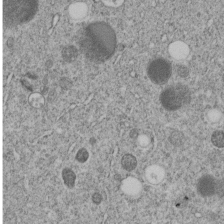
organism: C. elegans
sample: C. elegans embryo early stage